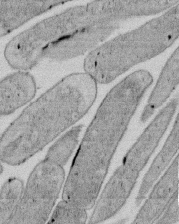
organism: E. coli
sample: Bacterial nucleoid